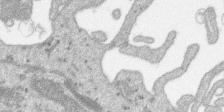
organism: Human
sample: Lung epithelial cells infected with SARS-CoV-2